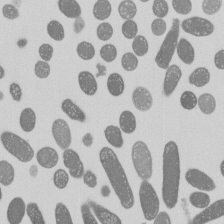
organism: E. coli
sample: Bacterial nucleoid